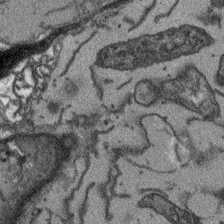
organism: Arabidopsis thaliana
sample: Root tip